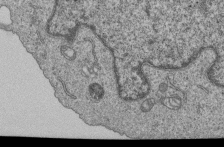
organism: Human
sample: MDA-MB-231 cells